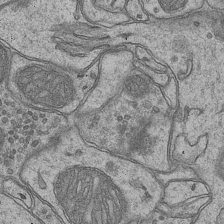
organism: Mouse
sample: CA1 Hippocampus